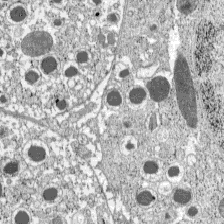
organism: C57BL Mouse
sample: Pancreatic islet